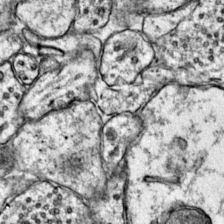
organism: Mouse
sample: Primary visual cortex